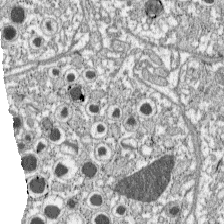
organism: C57BL Mouse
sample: Pancreatic islet